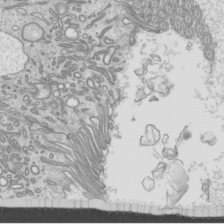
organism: Mouse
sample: Cilia; mouse epididymis